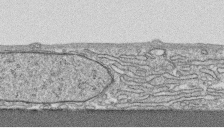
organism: Human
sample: CRL-1474